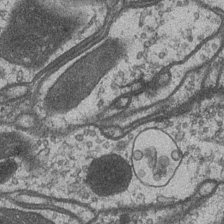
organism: Drosophila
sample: Optic medulla